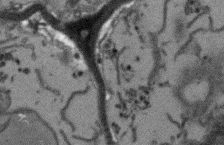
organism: Arabidopsis thaliana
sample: Root tip